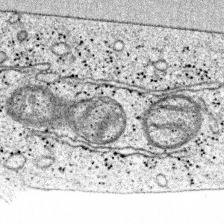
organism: Human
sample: HeLa cells